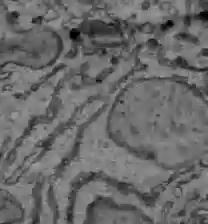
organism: C57BL Mouse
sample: Liver